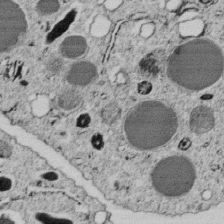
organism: C. elegans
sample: C. elegans embryo early stage